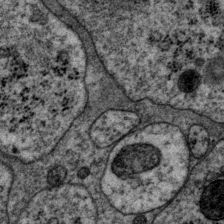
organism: P. pacificus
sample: Pharynx